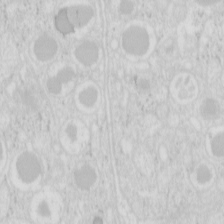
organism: Mouse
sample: Pancreas